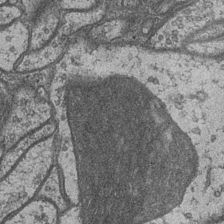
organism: Drosophila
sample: Optic medulla